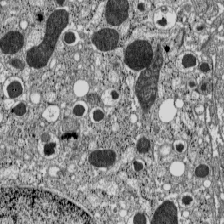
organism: C57BL Mouse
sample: Pancreatic islet